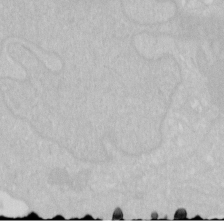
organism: Human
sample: HIV infected U937 cells